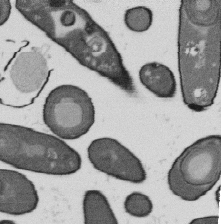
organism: B. subtilis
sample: Bacterial spore